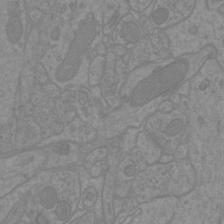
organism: Mouse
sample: Cortical neurons